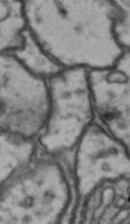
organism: Drosophila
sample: Brain